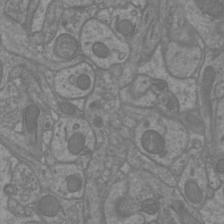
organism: Mouse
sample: Cortical neurons